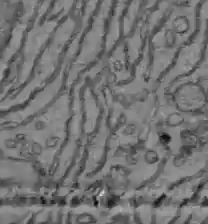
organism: C57BL Mouse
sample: Liver